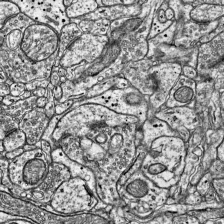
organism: Mouse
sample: Visual Cortex